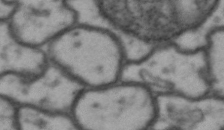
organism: Drosophila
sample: Brain